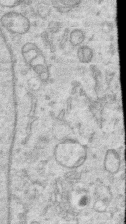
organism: Human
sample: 1205lu cells